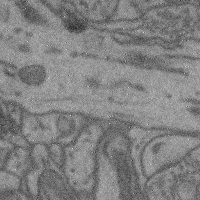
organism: Mouse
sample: Cerebral cortex